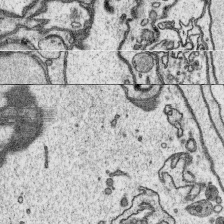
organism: Platynereis dumerilii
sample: Parapodia